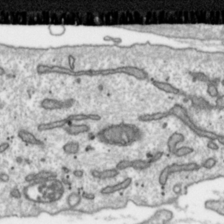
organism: Toxoplasma gondii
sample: Parasites in a vacuole inside a host cell